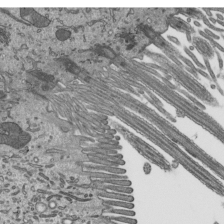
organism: Mouse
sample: Mouse epididymis efferent ductule cilia